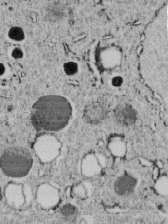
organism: C. elegans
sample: C. elegans embryo early stage